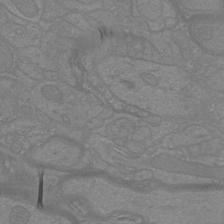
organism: Mouse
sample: Cortical neurons